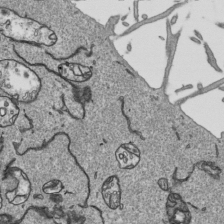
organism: Human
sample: Mitochondria in HCT116 cells